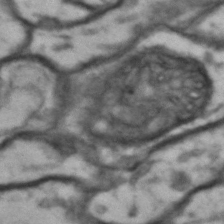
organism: Drosophila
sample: Brain